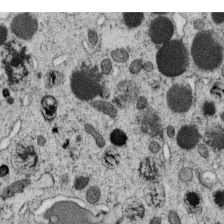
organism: C. elegans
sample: C. elegans oocyte; sperm cells